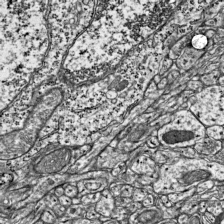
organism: Mouse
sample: Visual Cortex